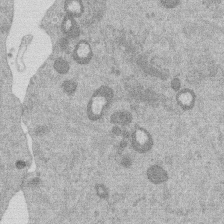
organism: Mouse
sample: Dividing mouse embryo 1 cell stage